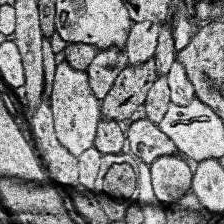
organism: Human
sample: Temporal Lobe